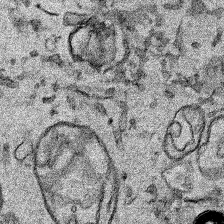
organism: Human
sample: Mitochondria in HCT116 cells